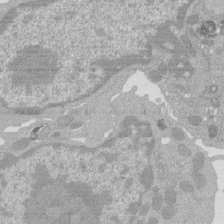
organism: Mouse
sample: Activated Pmel transgenic CD8+ T Cells